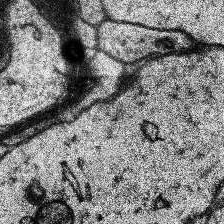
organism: Human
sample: Temporal Lobe